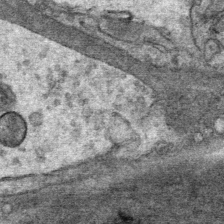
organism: Mouse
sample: Mouse Salivary gland